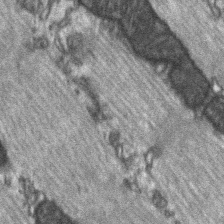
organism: C57BL Mouse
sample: Soleus